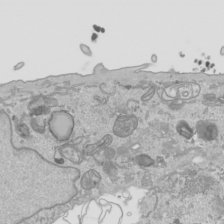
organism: Human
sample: Mitochondria in HCT116 cells